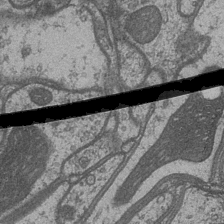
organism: Drosophila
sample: Optic medulla